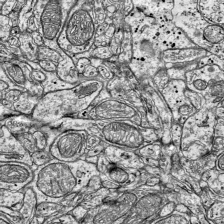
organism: Mouse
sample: Visual Cortex